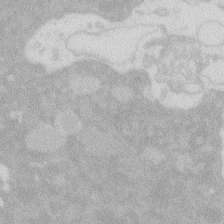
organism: Zebrafish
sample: Macrophage